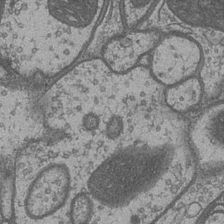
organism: Drosophila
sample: Optic medulla